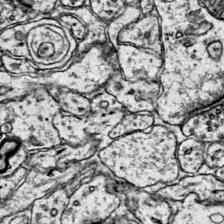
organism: Mouse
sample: Primary visual cortex